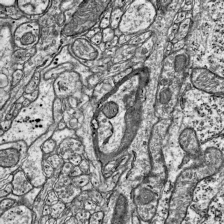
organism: Mouse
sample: Visual Cortex